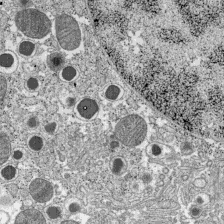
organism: C57BL Mouse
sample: Pancreatic islet